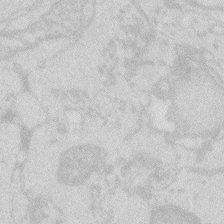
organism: Zebrafish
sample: Macrophage